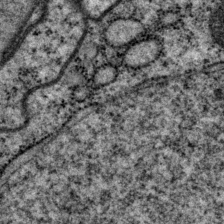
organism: P. pacificus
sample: Pharynx